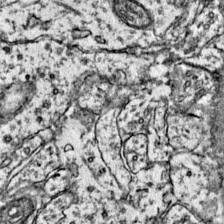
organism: Mouse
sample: Primary visual cortex